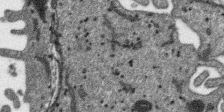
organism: Human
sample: Lung epithelial cells infected with SARS-CoV-2